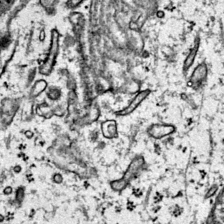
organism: Mouse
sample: Primary visual cortex